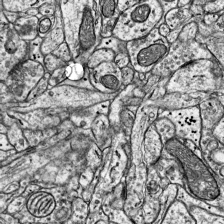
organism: Mouse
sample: Visual Cortex